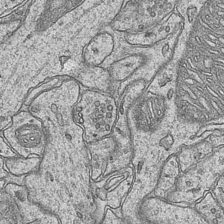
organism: Mouse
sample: CA1 Hippocampus